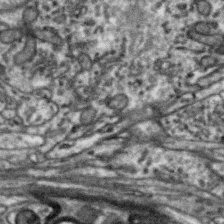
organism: Zebra finch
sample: Brain